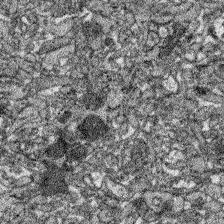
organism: Zebrafish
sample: Larval olfactory bulb